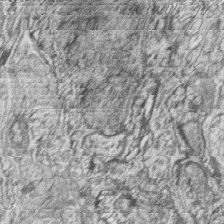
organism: Zebrafish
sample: synaptic ribbons in rod cells and cone cells